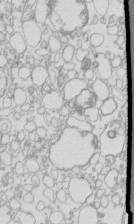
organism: Mouse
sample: Macrophages